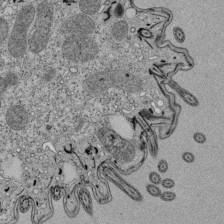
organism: Tetrahymena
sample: Cilia in tetrahymena